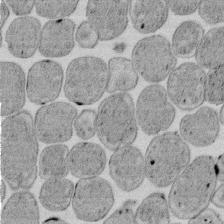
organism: E. coli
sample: Bacterial nucleoid